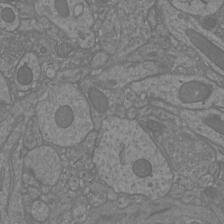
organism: Mouse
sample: Cortical neurons